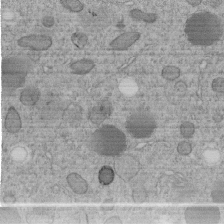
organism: C. elegans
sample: C. elegans embryo early stage